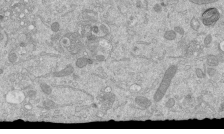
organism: Mouse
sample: ED-1 cell nuclei; centrioles